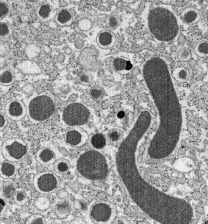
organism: C57BL Mouse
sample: Pancreatic islet